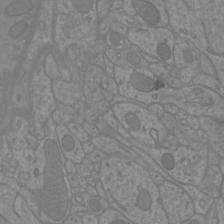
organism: Mouse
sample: Cortical neurons